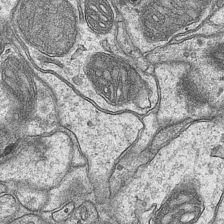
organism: Mouse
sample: CA1 Hippocampus